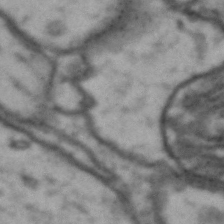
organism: Drosophila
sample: Brain